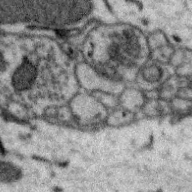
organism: Zebra finch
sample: Brain